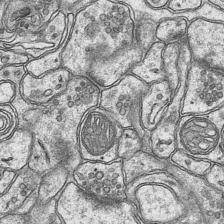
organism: Mouse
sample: CA1 Hippocampus